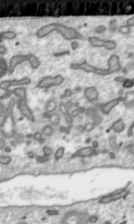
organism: Toxoplasma gondii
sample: Parasites in a vacuole inside a host cell